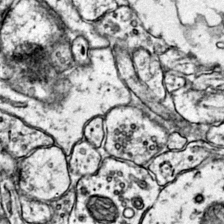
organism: Mouse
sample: Primary visual cortex